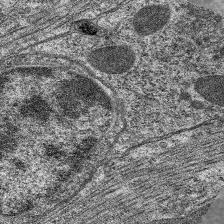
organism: C. elegans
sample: Pharynx